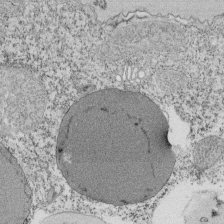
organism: Tetrahymena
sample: Cilia in tetrahymena